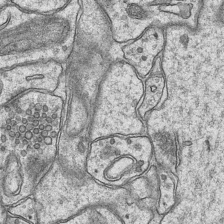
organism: Mouse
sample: CA1 Hippocampus